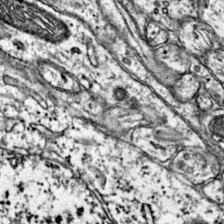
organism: Mouse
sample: Primary visual cortex